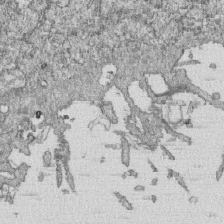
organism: Human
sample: HeLa cell HIV synapse